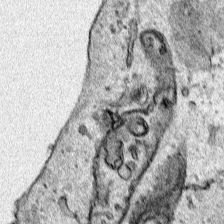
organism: Human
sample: Mitochondria in HCT116 cells